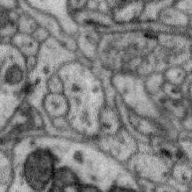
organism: Zebra finch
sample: Brain